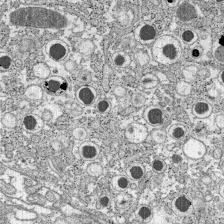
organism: C57BL Mouse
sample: Pancreatic islet